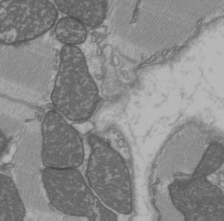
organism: C57BL Mouse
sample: Heart